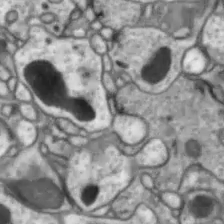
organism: Drosophila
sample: Optic lobe